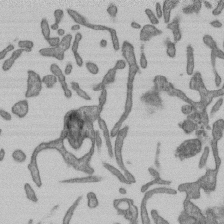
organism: Mouse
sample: Centriole in ependymal cells